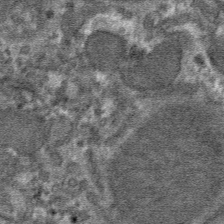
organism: Mouse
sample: Mouse hepatocytes